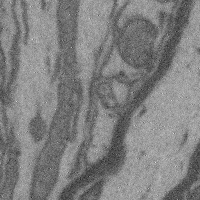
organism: Mouse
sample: Cerebral cortex